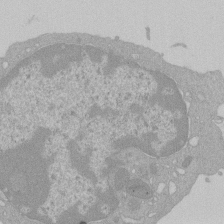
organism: Mouse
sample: Activated Pmel transgenic CD8+ T Cells